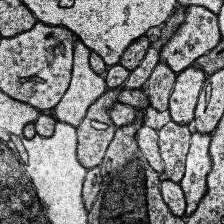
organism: Human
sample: Temporal Lobe